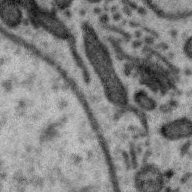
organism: Zebra finch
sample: Brain